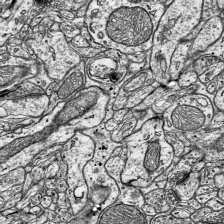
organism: Mouse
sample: Visual Cortex